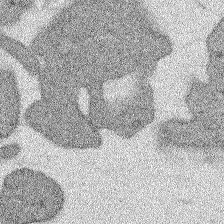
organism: Human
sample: HeLa cells